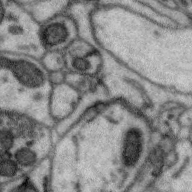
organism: Zebra finch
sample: Brain